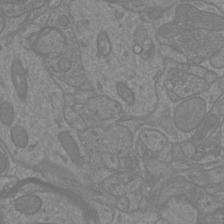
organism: Mouse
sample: Cortical neurons